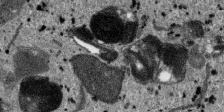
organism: Human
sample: Lung epithelial cells, uninfected (mock) control